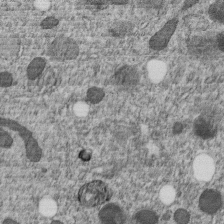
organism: C. elegans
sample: C. elegans embryo early stage